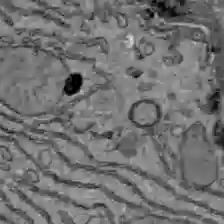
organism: C57BL Mouse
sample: Liver